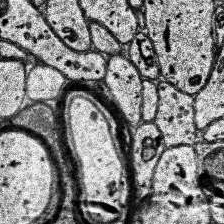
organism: Human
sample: Temporal Lobe